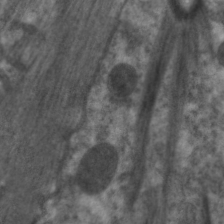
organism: C. elegans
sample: Pharynx